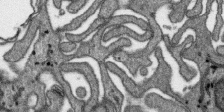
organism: Human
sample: Lung epithelial cells, uninfected (mock) control